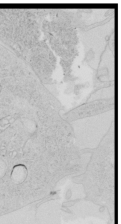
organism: Human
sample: Mitochondria in HCT116 cells